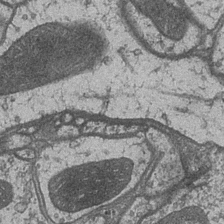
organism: Drosophila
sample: Optic medulla